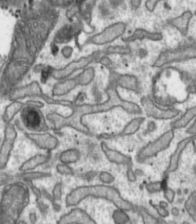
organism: Toxoplasma gondii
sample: Parasites in a vacuole inside a host cell